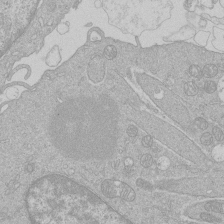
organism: Human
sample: Macrophage cells